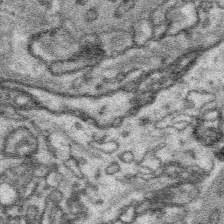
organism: Platynereis dumerilii